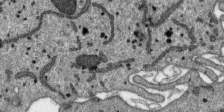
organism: Human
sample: Lung epithelial cells, uninfected (mock) control